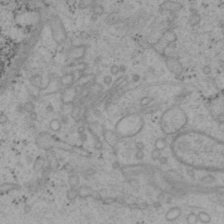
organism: Human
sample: HeLa cells